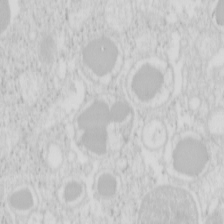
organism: Mouse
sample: Pancreas